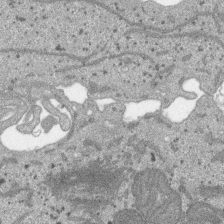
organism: Human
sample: Lung epithelial cells infected with SARS-CoV-2